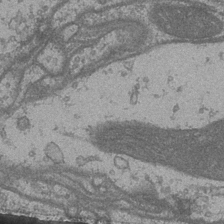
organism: Drosophila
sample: Optic medulla